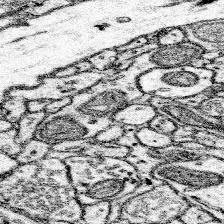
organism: Mouse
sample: Somatosensory cortex neuropil